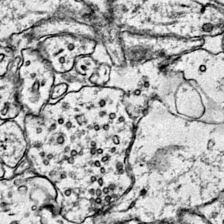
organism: Mouse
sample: Primary visual cortex